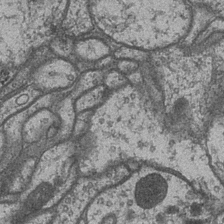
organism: Drosophila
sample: Optic medulla